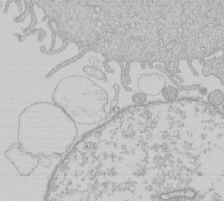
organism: Human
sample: Macrophage cells